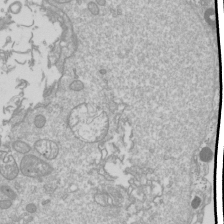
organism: Drosophila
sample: Cell division; meiosis; drosophila spermatocytes